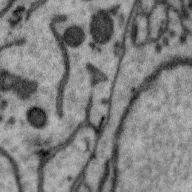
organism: Zebra finch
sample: Brain